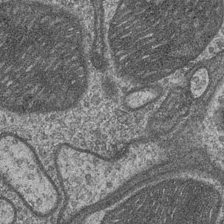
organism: Drosophila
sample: Optic medulla